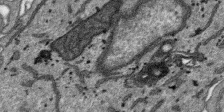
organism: Human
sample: Lung epithelial cells, uninfected (mock) control